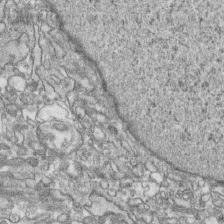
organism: Human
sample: CRL-1474